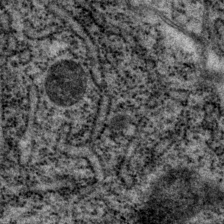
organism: P. pacificus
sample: Pharynx